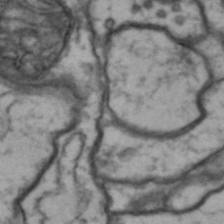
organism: Drosophila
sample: Brain